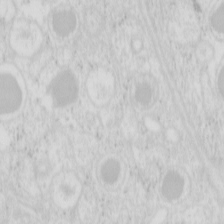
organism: Mouse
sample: Pancreas